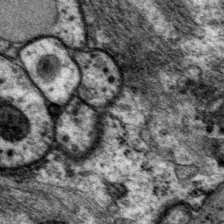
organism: P. pacificus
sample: Pharynx